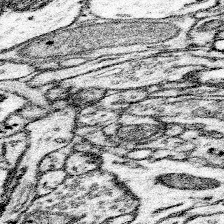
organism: Mouse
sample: Somatosensory cortex neuropil